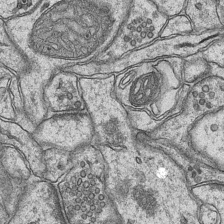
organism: Mouse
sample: CA1 Hippocampus